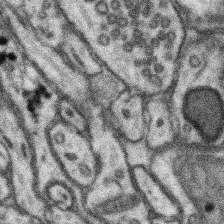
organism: Mouse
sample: Somatosensory cortex neuropil